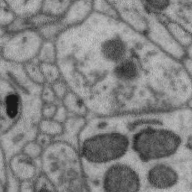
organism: Zebra finch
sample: Brain